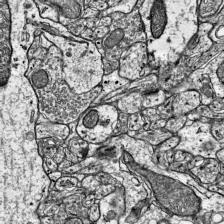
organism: Mouse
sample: Visual Cortex